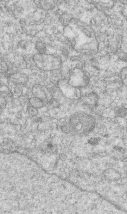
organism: Human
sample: HeLa cell HIV synapse